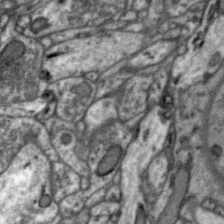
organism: Zebra finch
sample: Brain